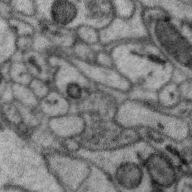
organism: Zebra finch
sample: Brain